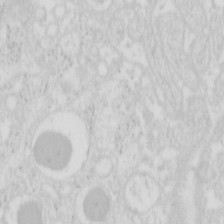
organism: Mouse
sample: Pancreas